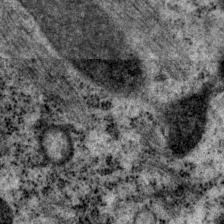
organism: P. pacificus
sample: Pharynx